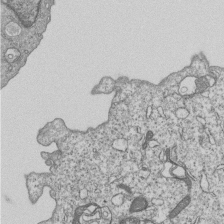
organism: Human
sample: MDA-MB-231 cells